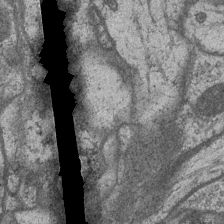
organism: Drosophila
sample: Optic medulla